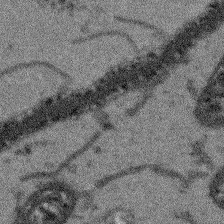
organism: Arabidopsis thaliana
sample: Root tip